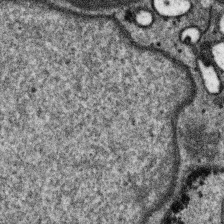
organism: Human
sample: Lung epithelial cells infected with SARS-CoV-2